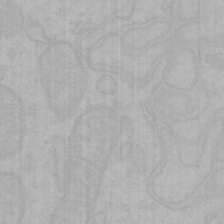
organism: Mouse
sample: Choroid plexus